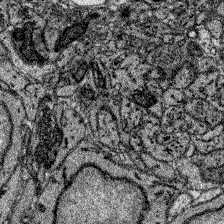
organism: Zebrafish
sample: Larval olfactory bulb